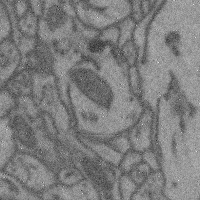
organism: Mouse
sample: Cerebral cortex